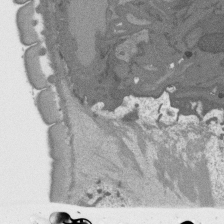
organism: C. elegans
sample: AFD neurons C. elegans